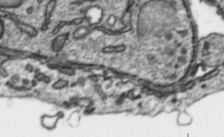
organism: Toxoplasma gondii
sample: Parasites in a vacuole inside a host cell